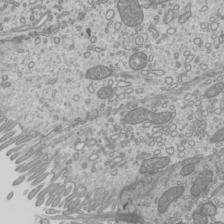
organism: Mouse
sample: Cilia; mouse epididymis